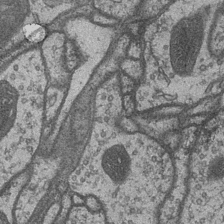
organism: Drosophila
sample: Optic medulla